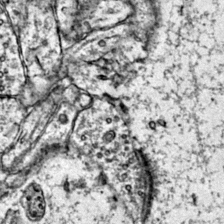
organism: Mouse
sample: Primary visual cortex